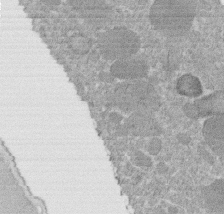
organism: C. elegans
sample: C. elegans embryo early stage